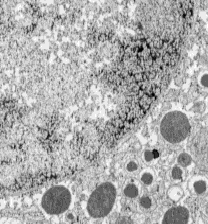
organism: C57BL Mouse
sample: Pancreatic islet